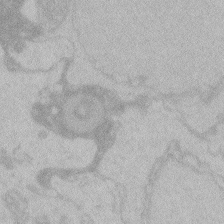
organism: Zebrafish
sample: Macrophage infected with Toxoplasma gondii